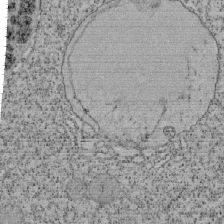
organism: Tetrahymena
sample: Cilia in tetrahymena